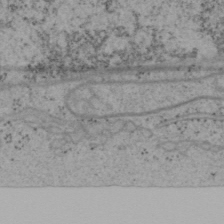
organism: Human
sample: HeLa cells